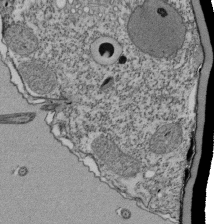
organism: Tetrahymena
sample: Cilia in tetrahymena